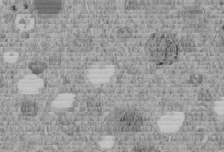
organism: C. elegans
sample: C. elegans embryo early stage